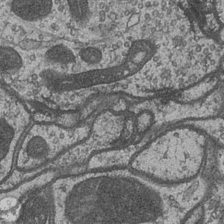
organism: Drosophila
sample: Optic medulla